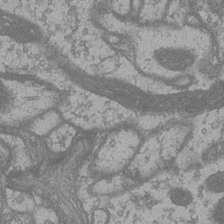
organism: Drosophila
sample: Optic medulla